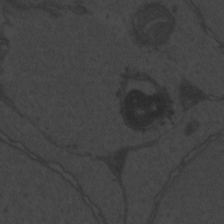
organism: Zebrafish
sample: Macrophage infected with Toxoplasma gondii